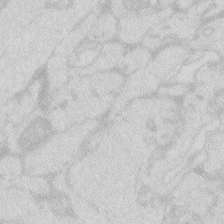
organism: Zebrafish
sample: Macrophage